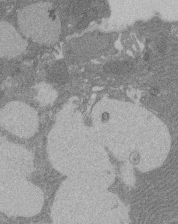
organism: Rat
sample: Salivary granule